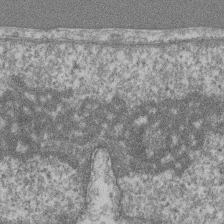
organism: Mouse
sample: T cell stromal cell synapse